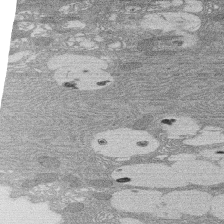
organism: Rat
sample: Salivary granule